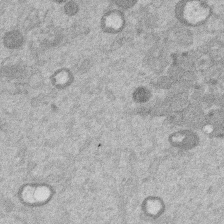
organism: Mouse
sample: Dividing mouse embryo 1 cell stage